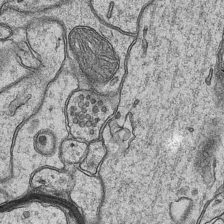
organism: Mouse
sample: CA1 Hippocampus